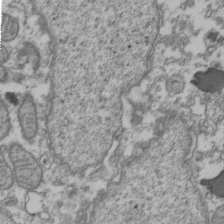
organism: Human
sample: Activated Jurkat CD4+ T cells